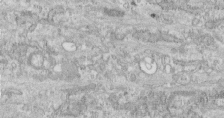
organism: Human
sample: Centriole in fibroblast cells